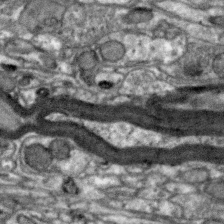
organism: Zebra finch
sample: Brain